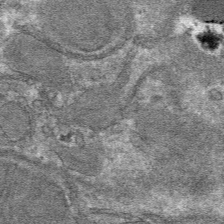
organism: Mouse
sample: Mouse hepatocytes